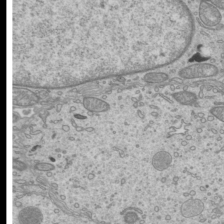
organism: Mouse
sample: Cilia; mouse epididymis